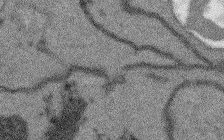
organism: Arabidopsis thaliana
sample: Root tip